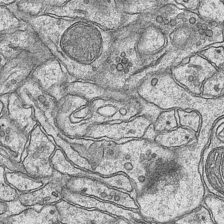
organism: Mouse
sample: CA1 Hippocampus